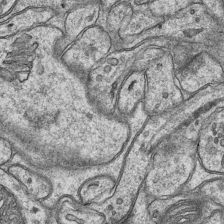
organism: Mouse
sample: CA1 Hippocampus